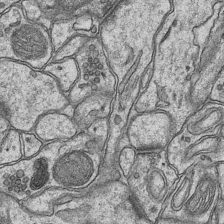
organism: Mouse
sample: CA1 Hippocampus